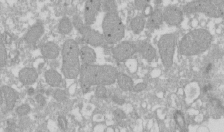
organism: Xenopus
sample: Cilia; centrioles in frog embryo cells